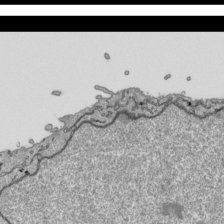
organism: Human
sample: Mitochondria in HCT116 cells